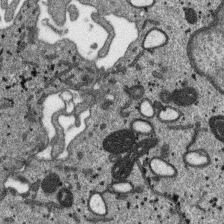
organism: Human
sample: Lung epithelial cells infected with SARS-CoV-2